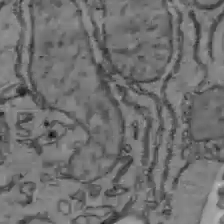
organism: C57BL Mouse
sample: Liver